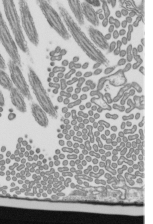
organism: Mouse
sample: Mouse epididymis efferent ductule cilia